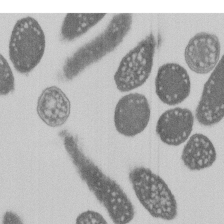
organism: E. coli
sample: Bacterial nucleoid